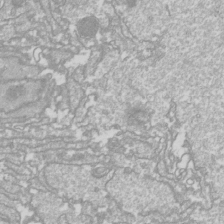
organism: Drosophila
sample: Cell division; meiosis; drosophila spermatocytes